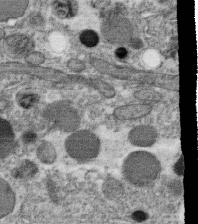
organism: C. elegans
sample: C. elegans oocyte; sperm cells